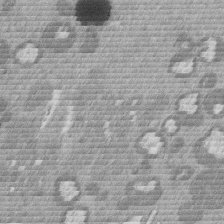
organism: Mouse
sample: Dividing mouse embryo 1 cell stage